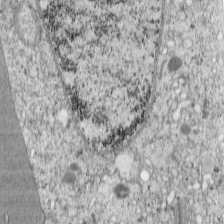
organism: African green monkey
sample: COS-7 cells